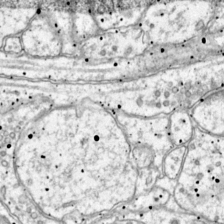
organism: Mouse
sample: Primary visual cortex